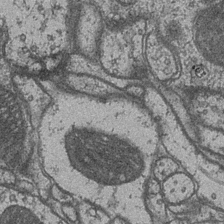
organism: Drosophila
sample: Optic medulla